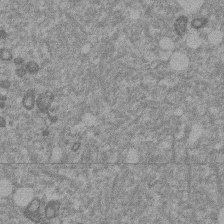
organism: Mouse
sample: Dividing mouse embryo 1 cell stage